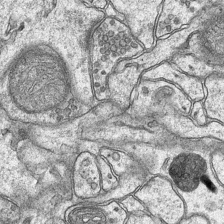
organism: Mouse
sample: CA1 Hippocampus